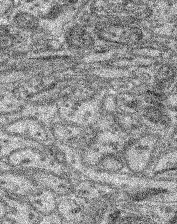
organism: Mouse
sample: Retina